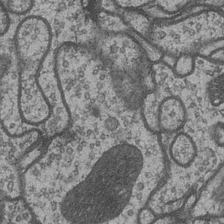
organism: Drosophila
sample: Optic medulla